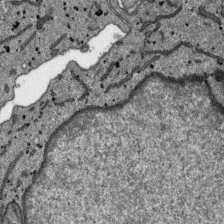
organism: Human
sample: Lung epithelial cells, uninfected (mock) control